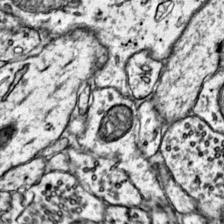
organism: Mouse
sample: Primary visual cortex